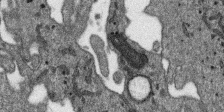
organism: Human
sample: Lung epithelial cells infected with SARS-CoV-2